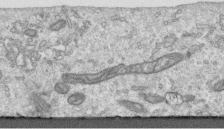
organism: Human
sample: Centriole in RPE cells